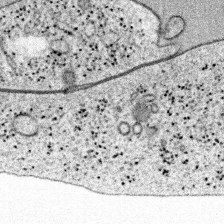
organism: Human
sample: HeLa cells